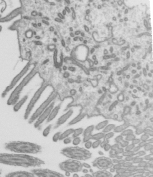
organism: Mouse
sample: Mouse epididymis efferent ductule cilia